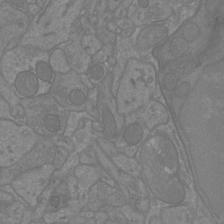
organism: Mouse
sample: Cortical neurons